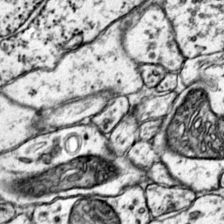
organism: Mouse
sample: Primary visual cortex